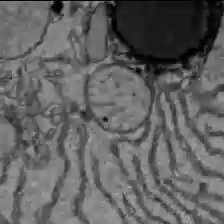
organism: C57BL Mouse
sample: Liver